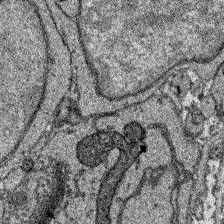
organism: Zebrafish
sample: Larval olfactory bulb